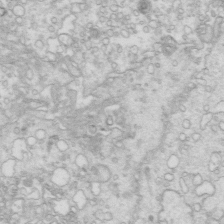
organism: Mouse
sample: Multiciliated cells